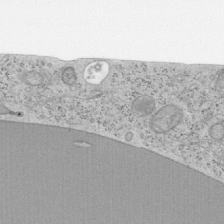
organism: Human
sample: HeLa cells